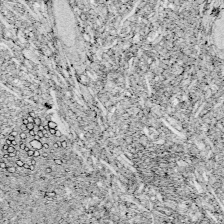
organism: Zebrafish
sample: Whole-Brain